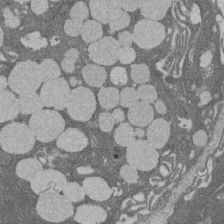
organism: Rat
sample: Salivary granule